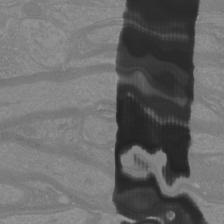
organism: Mouse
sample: Cortical neurons